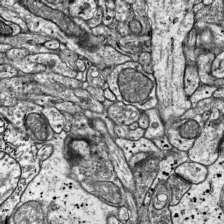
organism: Mouse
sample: Visual Cortex